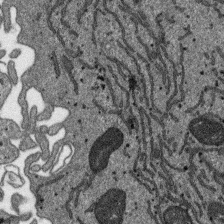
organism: Human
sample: Lung epithelial cells infected with SARS-CoV-2